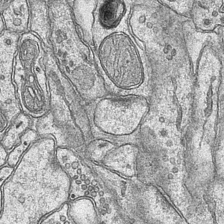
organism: Mouse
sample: CA1 Hippocampus